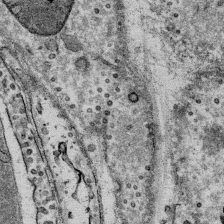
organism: Mouse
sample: Mouse Salivary gland